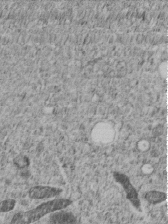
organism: C. elegans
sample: C. elegans embryo early stage